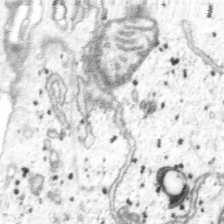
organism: Human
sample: HeLa cells